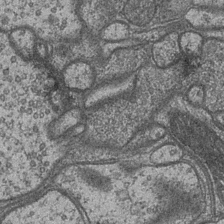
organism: Drosophila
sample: Optic medulla